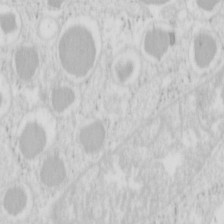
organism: Mouse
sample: Pancreas